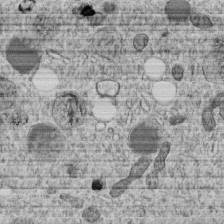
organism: C. elegans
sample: C. elegans embryo early stage